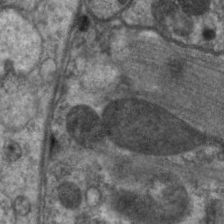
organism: C. elegans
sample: Pharynx